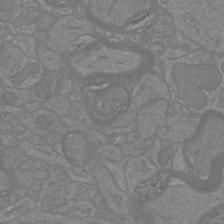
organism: Mouse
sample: Cortical neurons